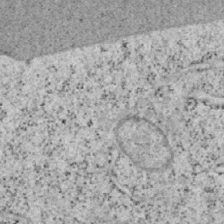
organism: Mouse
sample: OT-I killer T cells with ID8 ovarian cancer cells